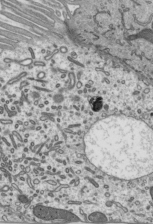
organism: Mouse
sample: Mouse epididymis efferent ductule cilia